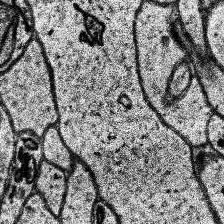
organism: Human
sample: Temporal Lobe